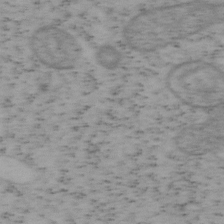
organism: Mouse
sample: OT-I killer T cells with ID8 ovarian cancer cells